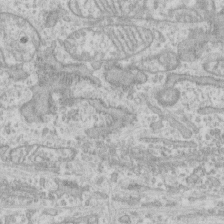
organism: Human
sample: CRL-1474